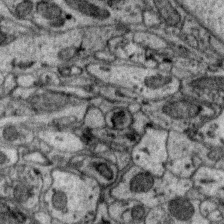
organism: Zebra finch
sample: Brain